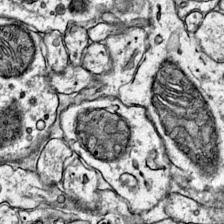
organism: Mouse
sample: Primary visual cortex